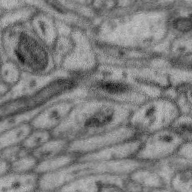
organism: Zebra finch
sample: Brain